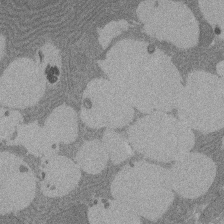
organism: Rat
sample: Salivary granule